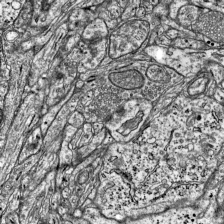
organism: Mouse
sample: Visual Cortex